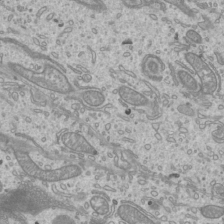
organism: Mouse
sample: Cilia; mouse epididymis